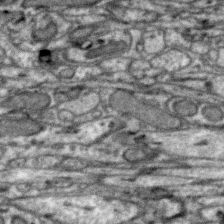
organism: Zebra finch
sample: Brain